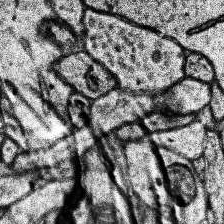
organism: Human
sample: Temporal Lobe